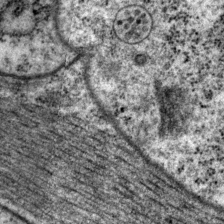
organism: P. pacificus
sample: Pharynx